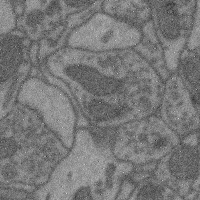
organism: Mouse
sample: Cerebral cortex